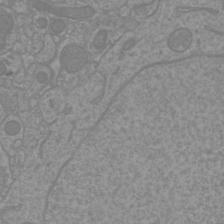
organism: Mouse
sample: Cortical neurons